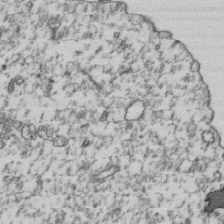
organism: Human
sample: Activated Jurkat CD4+ T cells